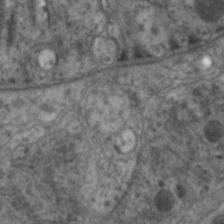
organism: C. elegans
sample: Pharynx